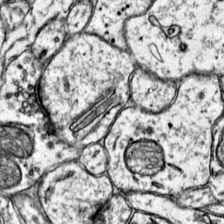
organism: Mouse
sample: Primary visual cortex